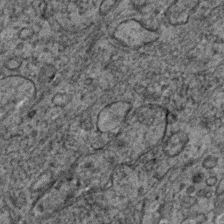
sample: Trachea